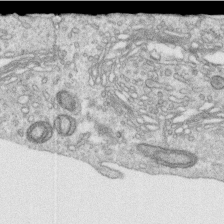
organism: Human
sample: Centriole in RPE cells